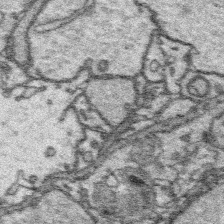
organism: Platynereis dumerilii